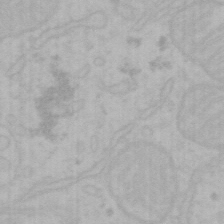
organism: Mouse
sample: Choroid plexus